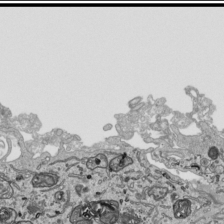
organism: Human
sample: Mitochondria in HCT116 cells